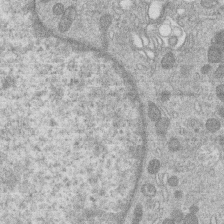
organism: Human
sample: Macrophage cells